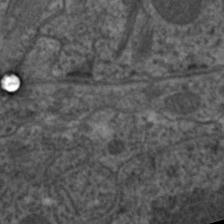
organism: C. elegans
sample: Pharynx